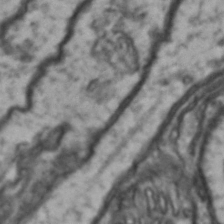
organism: Drosophila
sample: Brain